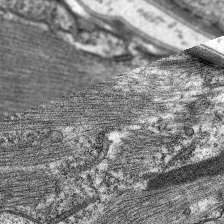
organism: C. elegans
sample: Pharynx